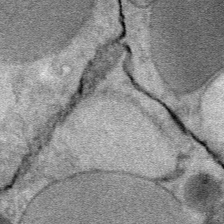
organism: Mouse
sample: Mouse Salivary gland